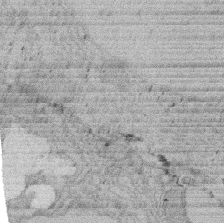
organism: Rat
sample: Salivary granule